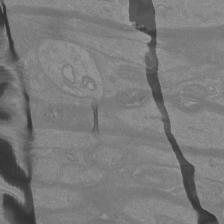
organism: Mouse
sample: Cortical neurons